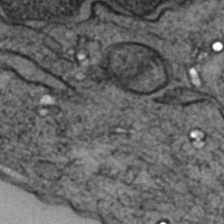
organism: Zebrafish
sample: Zebrafish embryo